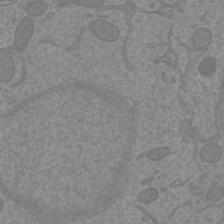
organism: Mouse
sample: Cortical neurons